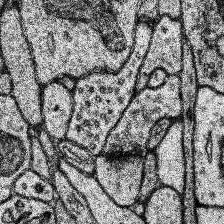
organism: Human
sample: Temporal Lobe